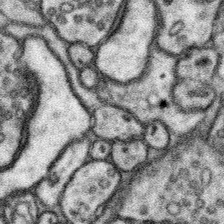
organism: Mouse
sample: Somatosensory cortex neuropil